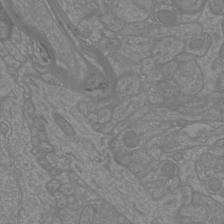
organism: Mouse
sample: Cortical neurons